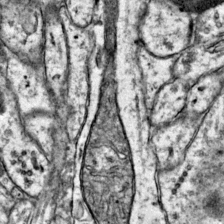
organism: Mouse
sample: Primary visual cortex